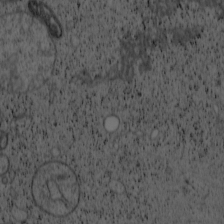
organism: African green monkey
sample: COS-7 cells